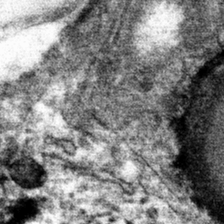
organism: Mouse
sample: Mouse hepatocytes